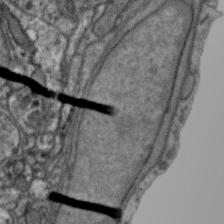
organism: Zebra finch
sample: Brain